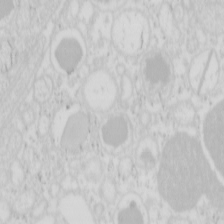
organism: Mouse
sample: Pancreas